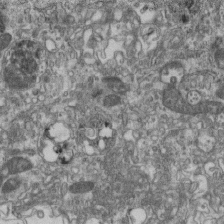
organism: Mouse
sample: Centriole in ependymal cells